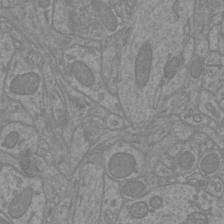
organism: Mouse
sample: Cortical neurons